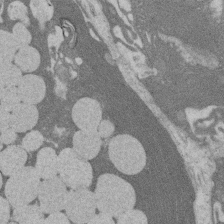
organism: Rat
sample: Salivary granule